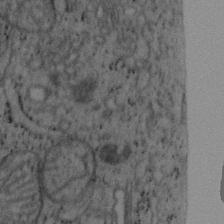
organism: Human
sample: HeLa cells